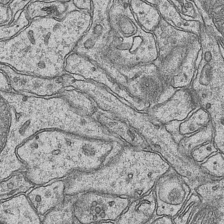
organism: Mouse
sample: CA1 Hippocampus